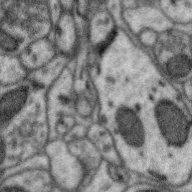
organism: Zebra finch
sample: Brain